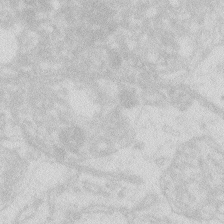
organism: Zebrafish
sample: Macrophage